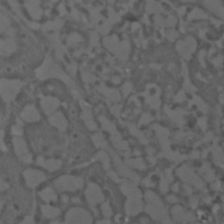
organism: C. elegans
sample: C. elegans embryo